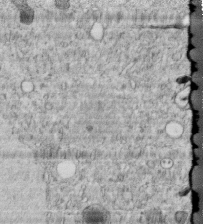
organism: C. elegans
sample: C. elegans embryo early stage